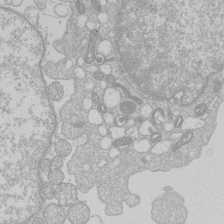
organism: Human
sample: Macrophage cells